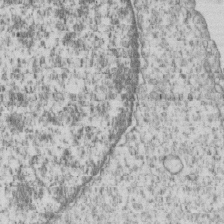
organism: Human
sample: MDA-MB-231 cells